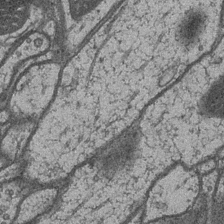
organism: Drosophila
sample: Optic medulla